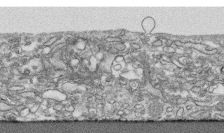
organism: Human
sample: CRL-1474